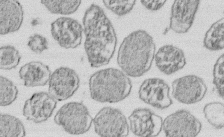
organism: E. coli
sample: Bacterial nucleoid